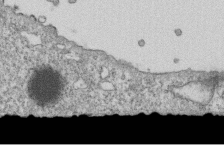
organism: Human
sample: HeLa cell HIV synapse